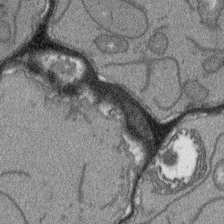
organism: Arabidopsis thaliana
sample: Root tip